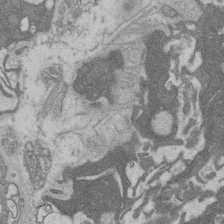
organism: Rat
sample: Salivary granule